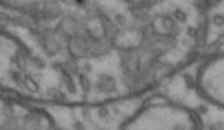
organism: Drosophila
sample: Brain